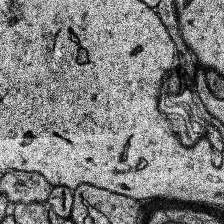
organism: Human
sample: Temporal Lobe